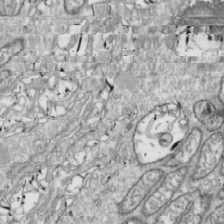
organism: Drosophila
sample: Cell division; meiosis; drosophila spermatocytes